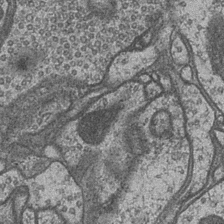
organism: Drosophila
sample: Optic medulla